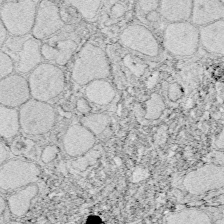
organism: Zebrafish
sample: Whole-Brain